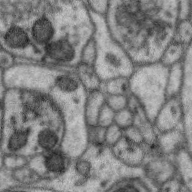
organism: Zebra finch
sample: Brain